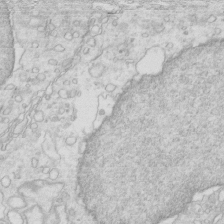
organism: Mouse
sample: Multiciliated cells